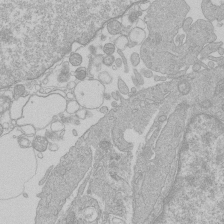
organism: Human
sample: Macrophage cells